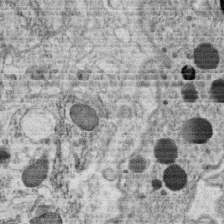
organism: C. elegans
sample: C. elegans oocyte; sperm cells